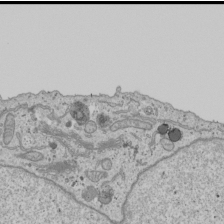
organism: Human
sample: Mitochondria in U2OS cells